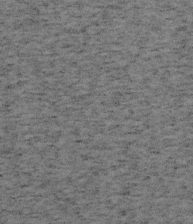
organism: Mouse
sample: OT-I killer T cells with ID8 ovarian cancer cells